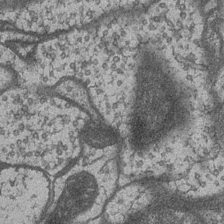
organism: Drosophila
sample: Optic medulla